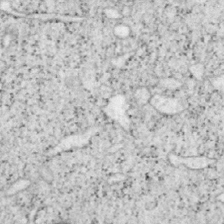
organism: Mouse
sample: OT-I killer T cells with ID8 ovarian cancer cells